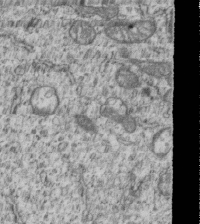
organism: Human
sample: MDA-MB-231 cells